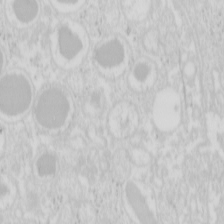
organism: Mouse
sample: Pancreas